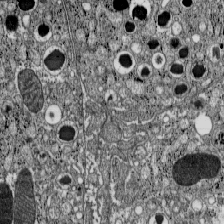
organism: C57BL Mouse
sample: Pancreatic islet